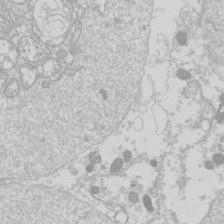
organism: Drosophila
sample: Cell division; meiosis; drosophila spermatocytes